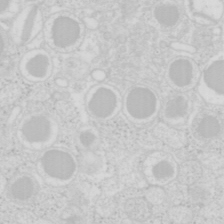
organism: Mouse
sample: Pancreas